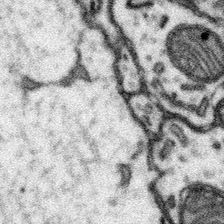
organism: Mouse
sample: Somatosensory cortex neuropil